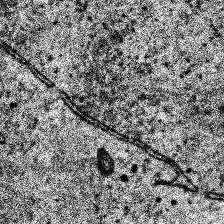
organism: Human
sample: Temporal Lobe